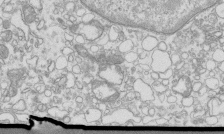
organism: Mouse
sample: Macrophages